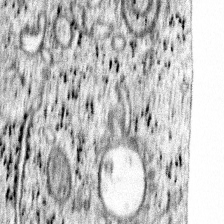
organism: Human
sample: HeLa cells